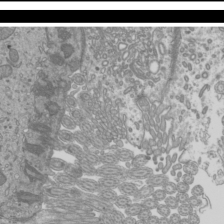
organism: Mouse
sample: Cilia; mouse epididymis